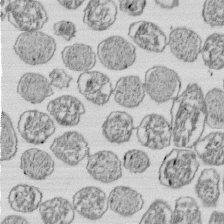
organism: E. coli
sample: Bacterial nucleoid